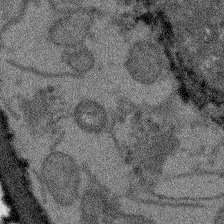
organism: Arabidopsis thaliana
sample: Root tip